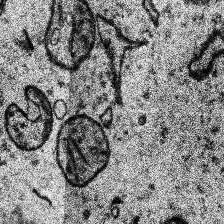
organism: Human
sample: Temporal Lobe